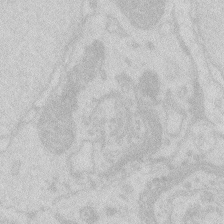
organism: Zebrafish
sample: Macrophage